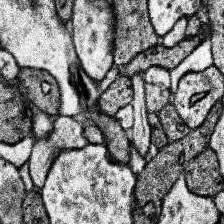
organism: Human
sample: Temporal Lobe